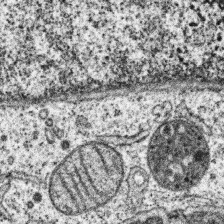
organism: Human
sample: HeLa cells